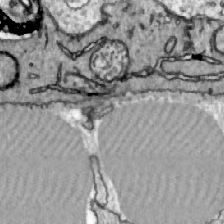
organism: Zebrafish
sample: Actinotrichia fibers